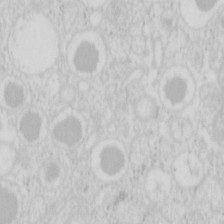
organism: Mouse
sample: Pancreas